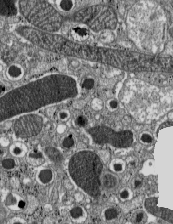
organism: C57BL Mouse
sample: Pancreatic islet